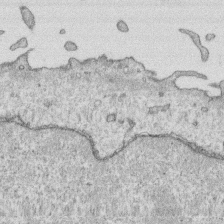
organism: Human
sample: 1205lu cells